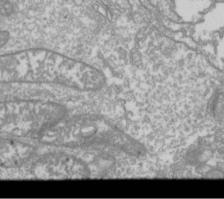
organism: Drosophila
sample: Cell division; meiosis; drosophila spermatocytes